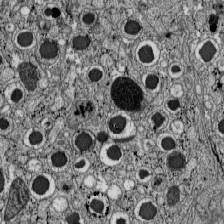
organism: C57BL Mouse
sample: Pancreatic islet